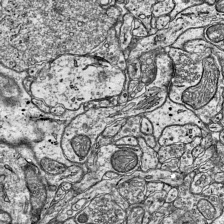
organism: Mouse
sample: Visual Cortex